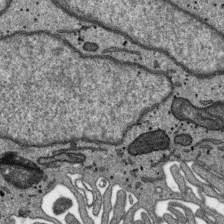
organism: Human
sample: Lung epithelial cells, uninfected (mock) control